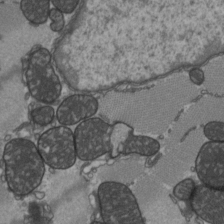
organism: C57BL Mouse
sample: Heart